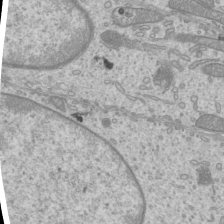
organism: Mouse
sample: Cilia; mouse epididymis